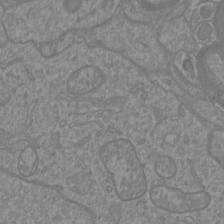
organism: Mouse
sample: Cortical neurons